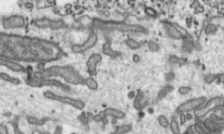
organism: Toxoplasma gondii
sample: Parasites in a vacuole inside a host cell